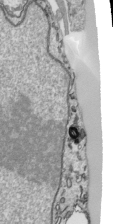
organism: Human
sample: Mitochondria in HCT116 cells